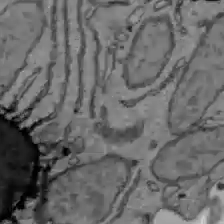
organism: C57BL Mouse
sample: Liver